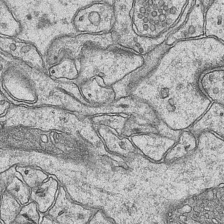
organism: Mouse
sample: CA1 Hippocampus